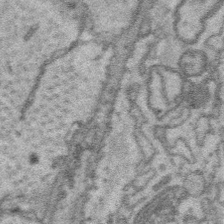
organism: Platynereis dumerilii